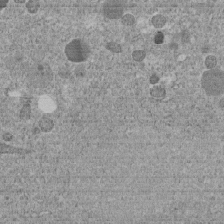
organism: C. elegans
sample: C. elegans embryo early stage